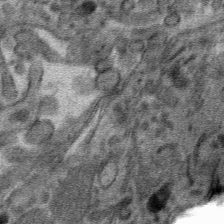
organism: Mouse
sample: Mouse hepatocytes